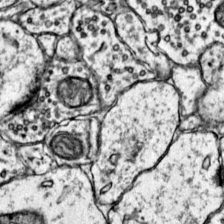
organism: Mouse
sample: Primary visual cortex